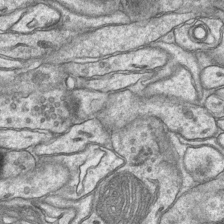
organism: Mouse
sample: CA1 Hippocampus